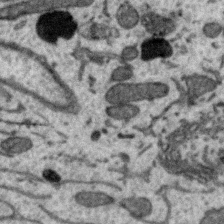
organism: Zebra finch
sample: Brain